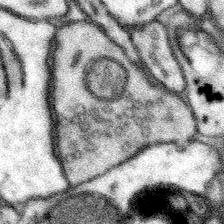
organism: Mouse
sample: Somatosensory cortex neuropil